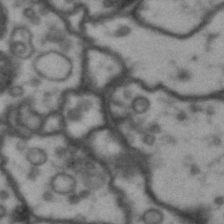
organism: Drosophila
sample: Brain